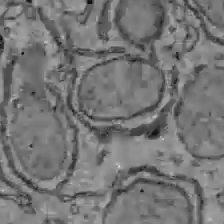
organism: C57BL Mouse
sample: Liver